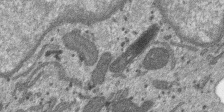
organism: Human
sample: Lung epithelial cells infected with SARS-CoV-2